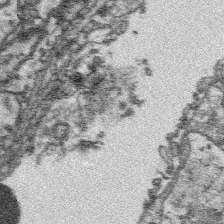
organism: Platynereis dumerilii